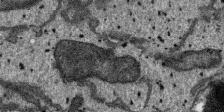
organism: Human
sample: Lung epithelial cells, uninfected (mock) control